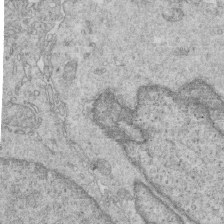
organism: Mouse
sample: Multiciliated cells